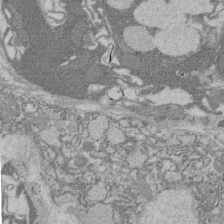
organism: Rat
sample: Salivary granule